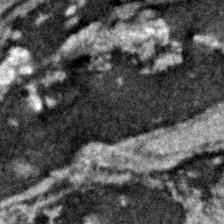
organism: Zebrafish